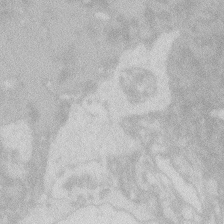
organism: Zebrafish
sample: Macrophage